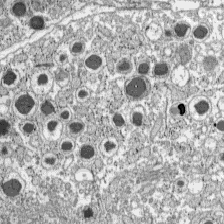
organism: C57BL Mouse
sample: Pancreatic islet